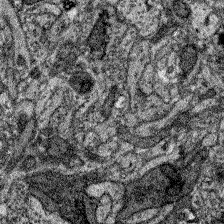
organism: Zebrafish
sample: Larval olfactory bulb